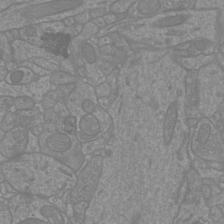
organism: Mouse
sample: Cortical neurons